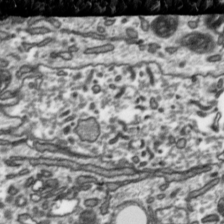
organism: Toxoplasma gondii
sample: Parasites in a vacuole inside a host cell